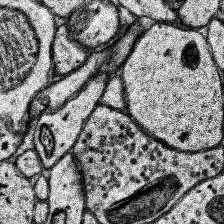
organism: Human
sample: Temporal Lobe